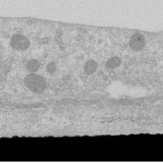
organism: Human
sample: Centriole in RPE cells